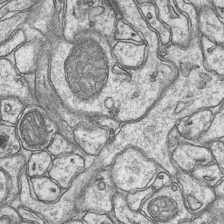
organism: Mouse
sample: CA1 Hippocampus